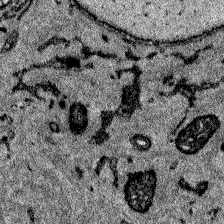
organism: Zebrafish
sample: Larval olfactory bulb